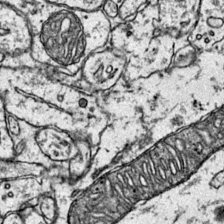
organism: Mouse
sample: Primary visual cortex